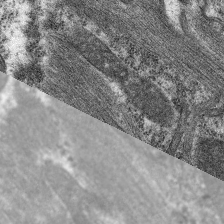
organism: C. elegans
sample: Pharynx